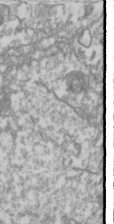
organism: Drosophila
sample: Cell division; meiosis; drosophila spermatocytes